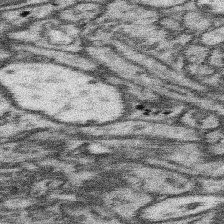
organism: Mouse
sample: Somatosensory cortex neuropil